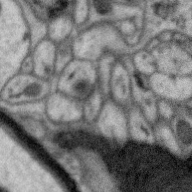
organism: Zebra finch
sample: Brain